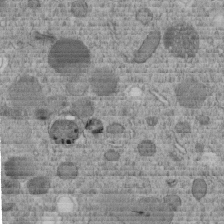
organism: C. elegans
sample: C. elegans embryo early stage